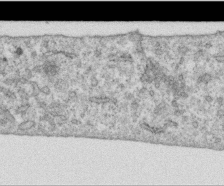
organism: Human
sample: Centriole in RPE cells